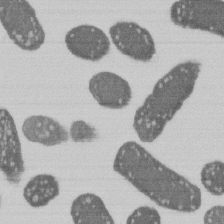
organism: E. coli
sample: Bacterial nucleoid